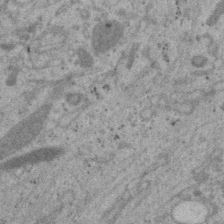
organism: Human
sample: HeLa cells